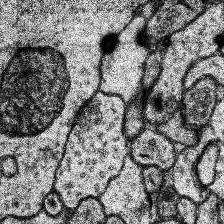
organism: Human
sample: Temporal Lobe